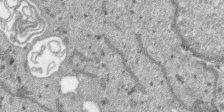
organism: Human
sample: Lung epithelial cells infected with SARS-CoV-2